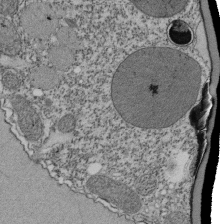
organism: Tetrahymena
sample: Cilia in tetrahymena